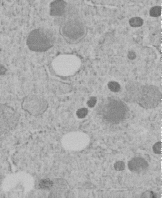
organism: C. elegans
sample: C. elegans embryo early stage